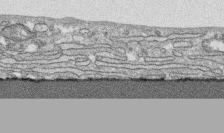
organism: Human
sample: CRL-1474